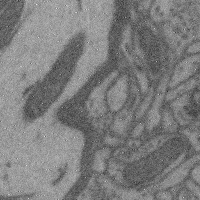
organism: Mouse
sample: Cerebral cortex